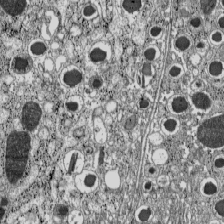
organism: C57BL Mouse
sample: Pancreatic islet